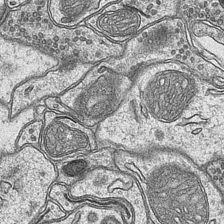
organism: Mouse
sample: CA1 Hippocampus